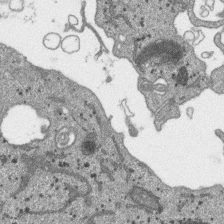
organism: Human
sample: Lung epithelial cells infected with SARS-CoV-2